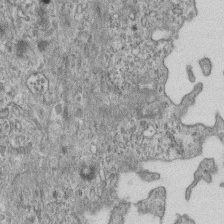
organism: Mouse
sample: Centriole in ependymal cells